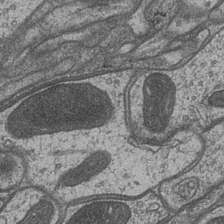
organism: Drosophila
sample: Optic medulla